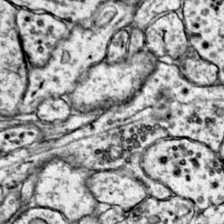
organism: Mouse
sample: Primary visual cortex